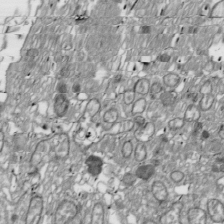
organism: Drosophila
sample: Cell division; meiosis; drosophila spermatocytes